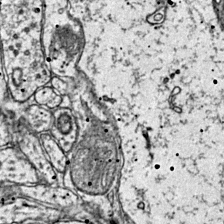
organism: Mouse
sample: Primary visual cortex